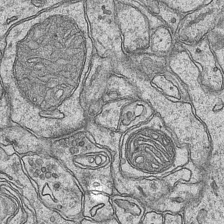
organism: Mouse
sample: CA1 Hippocampus